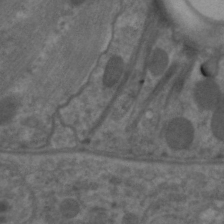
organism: C. elegans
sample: Pharynx